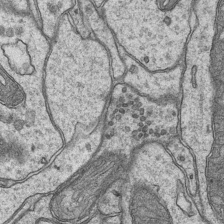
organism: Mouse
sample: CA1 Hippocampus